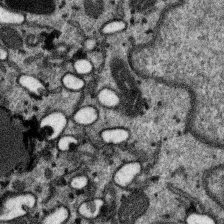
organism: Human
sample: Lung epithelial cells infected with SARS-CoV-2